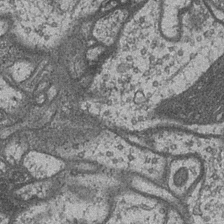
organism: Drosophila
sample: Optic medulla